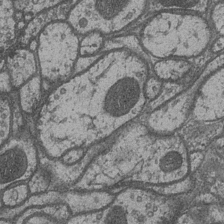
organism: Drosophila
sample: Optic medulla